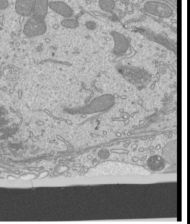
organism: Mouse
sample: Cilia; mouse epididymis